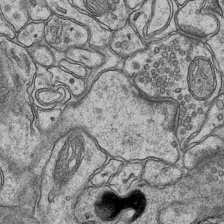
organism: Mouse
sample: CA1 Hippocampus